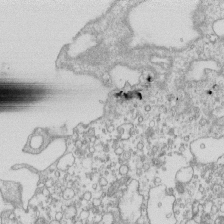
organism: Mouse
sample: Macrophages